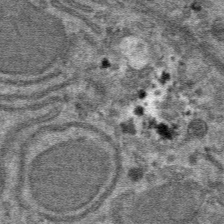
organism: Mouse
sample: Mouse hepatocytes